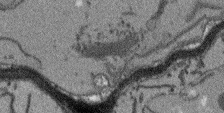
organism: Arabidopsis thaliana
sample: Root tip